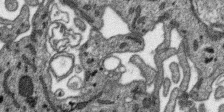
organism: Human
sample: Lung epithelial cells infected with SARS-CoV-2